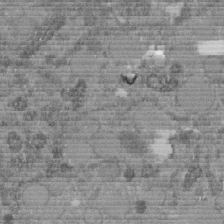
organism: C. elegans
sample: C. elegans embryo early stage